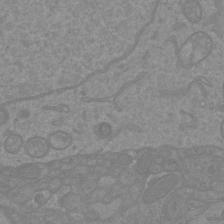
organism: Mouse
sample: Cortical neurons